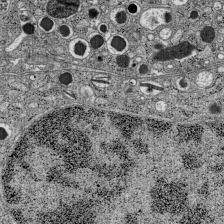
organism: C57BL Mouse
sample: Pancreatic islet